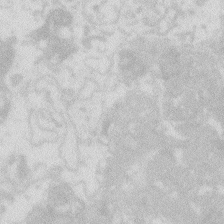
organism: Zebrafish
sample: Macrophage